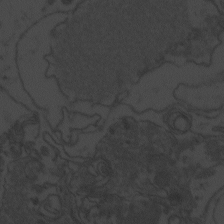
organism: Zebrafish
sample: Macrophage infected with Toxoplasma gondii